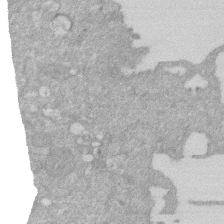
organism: Human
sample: HIV infected U937 cells